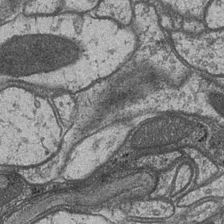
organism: Drosophila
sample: Optic medulla